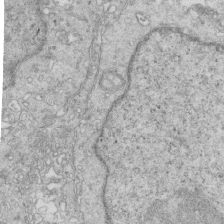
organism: Mouse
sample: Multiciliated cells